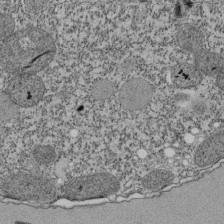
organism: Tetrahymena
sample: Cilia in tetrahymena